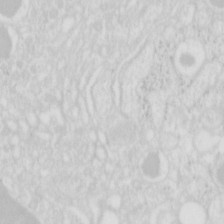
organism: Mouse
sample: Pancreas